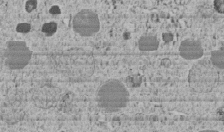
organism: C. elegans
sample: C. elegans embryo early stage